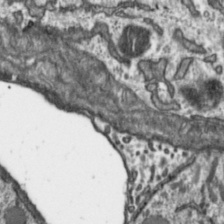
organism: Toxoplasma gondii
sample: Parasites in a vacuole inside a host cell